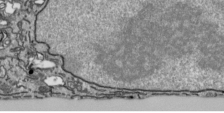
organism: Human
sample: Mitochondria in HCT116 cells